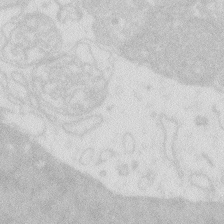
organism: Zebrafish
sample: Macrophage